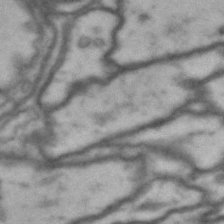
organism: Drosophila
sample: Brain